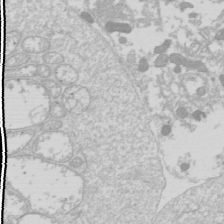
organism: Drosophila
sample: Cell division; meiosis; drosophila spermatocytes